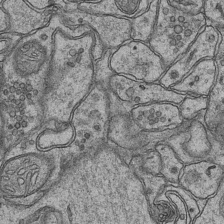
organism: Mouse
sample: CA1 Hippocampus